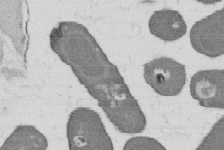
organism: B. subtilis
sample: Bacterial spore